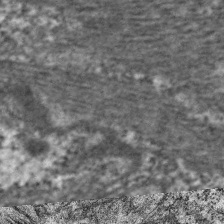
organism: C. elegans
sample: Pharynx